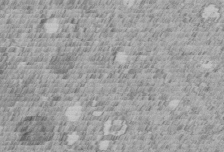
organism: C. elegans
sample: C. elegans embryo early stage